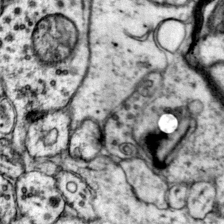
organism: Mouse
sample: Primary visual cortex